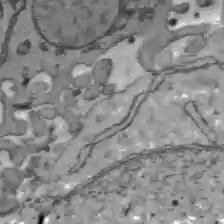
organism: C57BL Mouse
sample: Liver